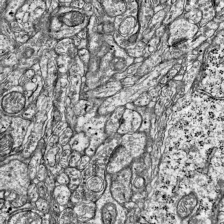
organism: Mouse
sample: Visual Cortex